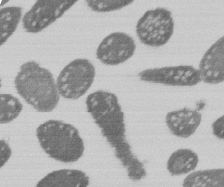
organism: E. coli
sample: Bacterial nucleoid